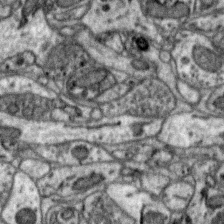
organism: Zebra finch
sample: Brain